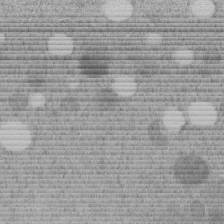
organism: C. elegans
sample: C. elegans embryo early stage